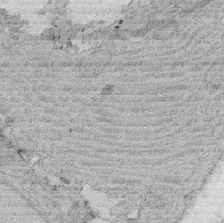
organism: Rat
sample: Salivary granule